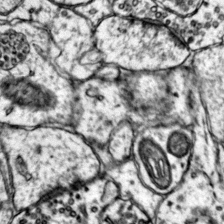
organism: Mouse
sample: Primary visual cortex